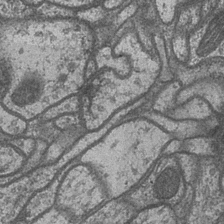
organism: Drosophila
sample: Optic medulla